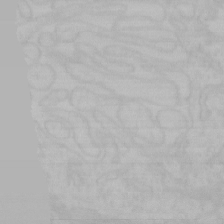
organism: Mouse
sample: Choroid plexus